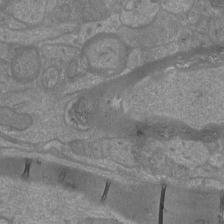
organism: Mouse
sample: Cortical neurons